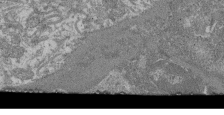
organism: Mouse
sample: Glomerulus